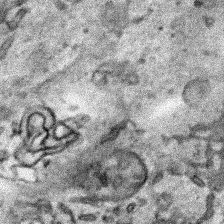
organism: Human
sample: Mitochondria in HCT116 cells